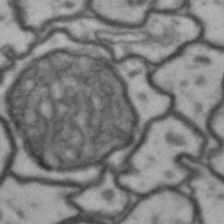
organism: Drosophila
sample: Brain